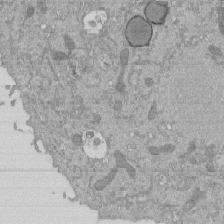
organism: Mouse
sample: ED-1 cell nuclei; centrioles